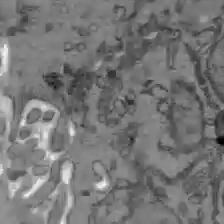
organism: C57BL Mouse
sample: Liver